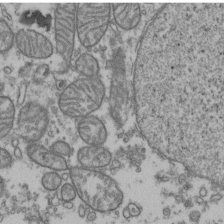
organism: Human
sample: Activated Jurkat CD4+ T cells